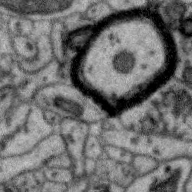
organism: Zebra finch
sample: Brain